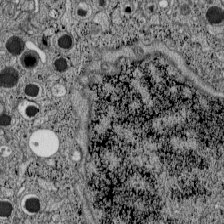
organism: C57BL Mouse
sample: Pancreatic islet